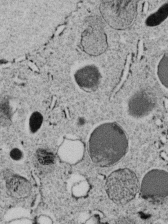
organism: C. elegans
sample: C. elegans embryo early stage